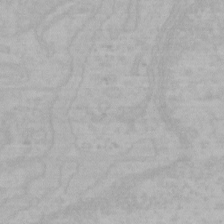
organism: Mouse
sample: Choroid plexus